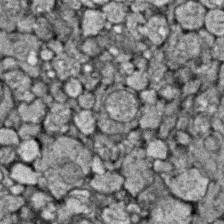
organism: Zebrafish